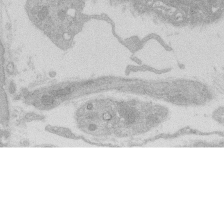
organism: Rat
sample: Salivary granule